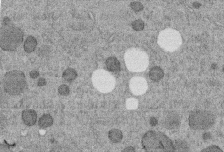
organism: C. elegans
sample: C. elegans embryo early stage